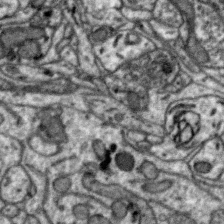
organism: Zebra finch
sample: Brain